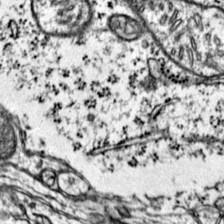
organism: Mouse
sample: Primary visual cortex